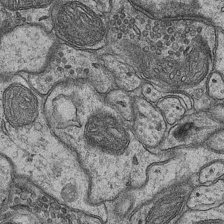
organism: Mouse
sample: CA1 Hippocampus